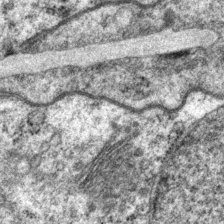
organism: P. pacificus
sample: Pharynx